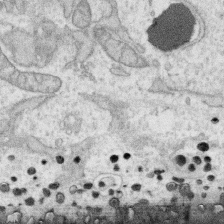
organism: Human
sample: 1205lu cells